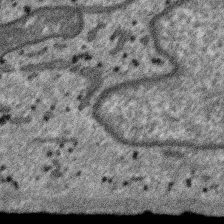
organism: Human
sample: Lung epithelial cells infected with SARS-CoV-2